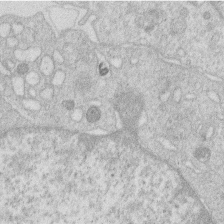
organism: Human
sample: Macrophage cells